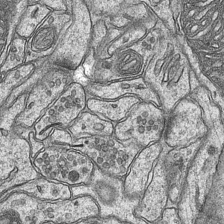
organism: Mouse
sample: CA1 Hippocampus